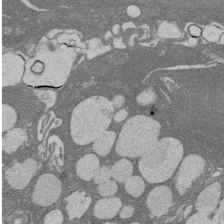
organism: Rat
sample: Salivary granule